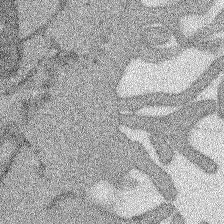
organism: Human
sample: HeLa cells